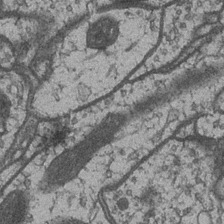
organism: Drosophila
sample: Optic medulla